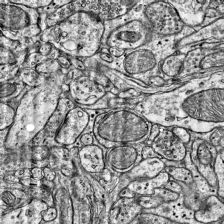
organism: Mouse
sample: Visual Cortex